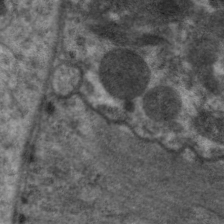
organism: C. elegans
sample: Pharynx